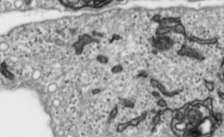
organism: Toxoplasma gondii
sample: Parasites in a vacuole inside a host cell